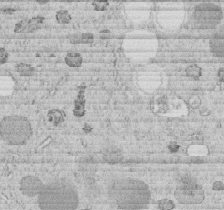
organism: C. elegans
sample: C. elegans embryo early stage